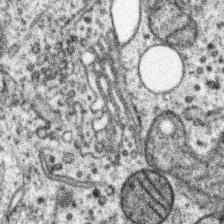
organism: Human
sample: HeLa cells